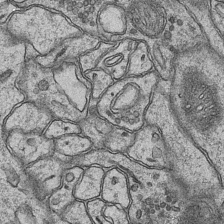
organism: Mouse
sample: CA1 Hippocampus